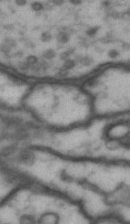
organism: Drosophila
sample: Brain